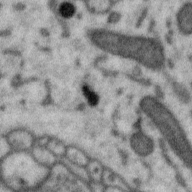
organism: Zebra finch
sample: Brain